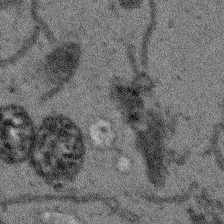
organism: Arabidopsis thaliana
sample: Root tip